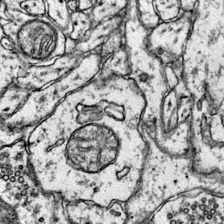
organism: Mouse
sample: Primary visual cortex